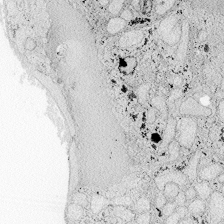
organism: Zebrafish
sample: Whole-Brain